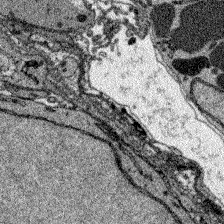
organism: Zebrafish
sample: Larval olfactory bulb